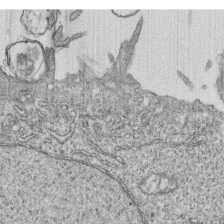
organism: Human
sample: HeLa cell HIV synapse